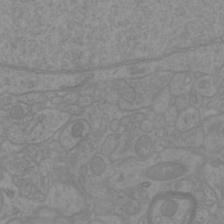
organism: Mouse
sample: Cortical neurons